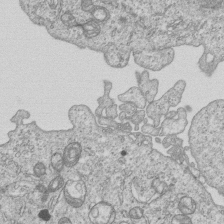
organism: Human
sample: MDA-MB-231 cells